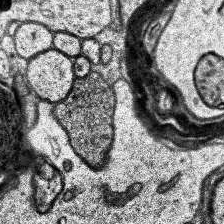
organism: Human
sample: Temporal Lobe